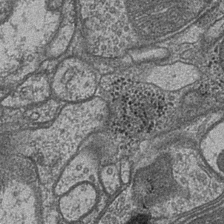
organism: Drosophila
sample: Optic medulla